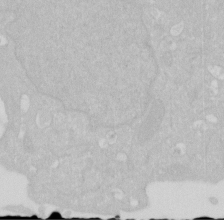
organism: Human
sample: HIV infected U937 cells